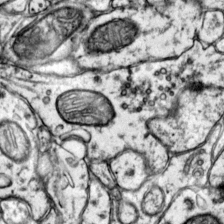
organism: Mouse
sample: Primary visual cortex